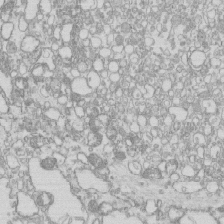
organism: Mouse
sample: Macrophages